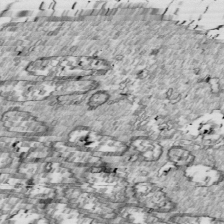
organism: Drosophila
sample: Cell division; meiosis; drosophila spermatocytes